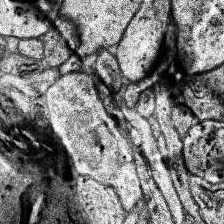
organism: Human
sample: Temporal Lobe